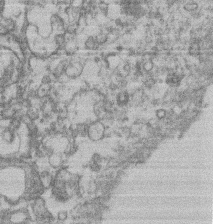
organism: Mouse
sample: T cell stromal cell synapse